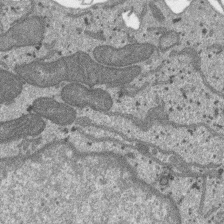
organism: Human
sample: Lung epithelial cells infected with SARS-CoV-2